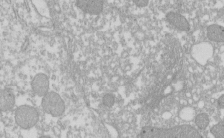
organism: Xenopus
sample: Cilia; centrioles in frog embryo cells